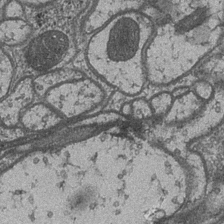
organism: Drosophila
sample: Optic medulla